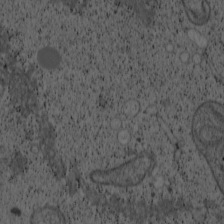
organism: African green monkey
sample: COS-7 cells